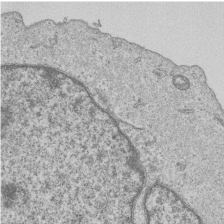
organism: Human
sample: MDA-MB-231 cells